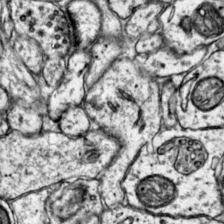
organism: Mouse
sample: Primary visual cortex